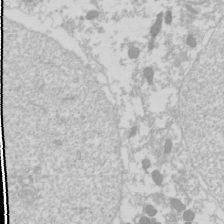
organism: Drosophila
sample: Cell division; meiosis; drosophila spermatocytes